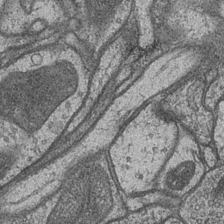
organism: Drosophila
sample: Optic medulla